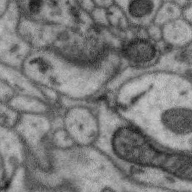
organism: Zebra finch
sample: Brain